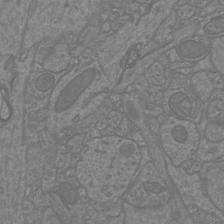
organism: Mouse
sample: Cortical neurons